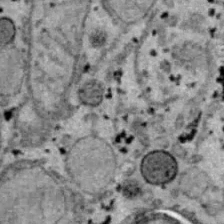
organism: Mouse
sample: Liver from an obese (ob/ob) mouse